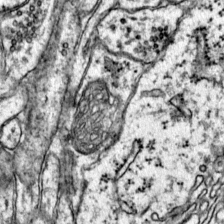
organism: Mouse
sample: Primary visual cortex